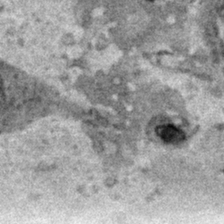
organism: Human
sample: Mitochondria in HCT116 cells